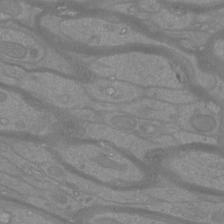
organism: Mouse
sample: Cortical neurons